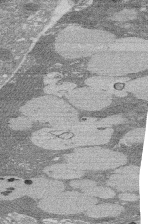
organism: Rat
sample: Salivary granule